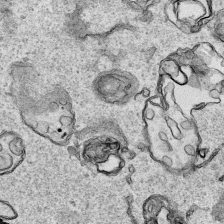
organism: Human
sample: Mitochondria in HCT116 cells